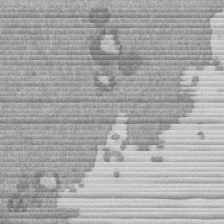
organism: Mouse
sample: Dividing mouse embryo 1 cell stage